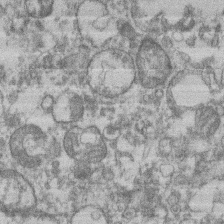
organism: Mouse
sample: T cell stromal cell synapse